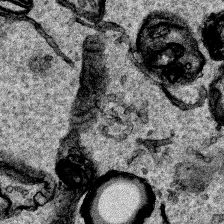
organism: Human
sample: Mitochondria in HCT116 cells